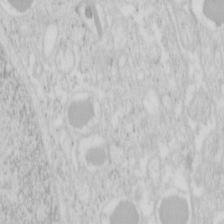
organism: Mouse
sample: Pancreas